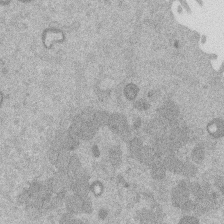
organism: Mouse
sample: Dividing mouse embryo 1 cell stage